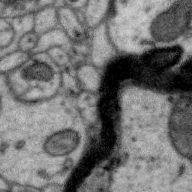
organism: Zebra finch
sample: Brain